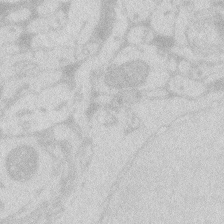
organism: Zebrafish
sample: Macrophage